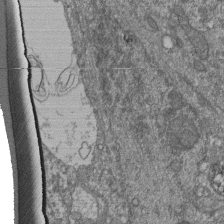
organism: Human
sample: Retinal organoid Rod and Cone cells